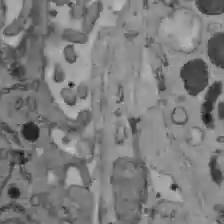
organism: C57BL Mouse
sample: Liver